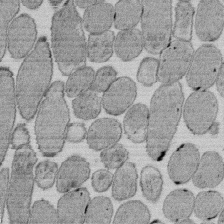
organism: E. coli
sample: Bacterial nucleoid